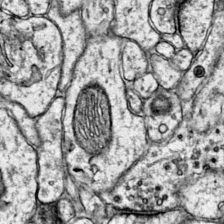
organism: Mouse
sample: Primary visual cortex